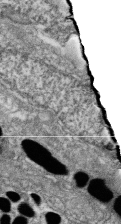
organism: Zebrafish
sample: Cilia; retinal pigment epithelium